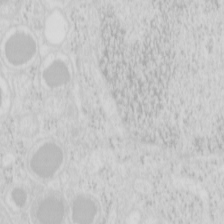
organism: Mouse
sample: Pancreas